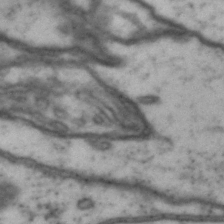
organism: Drosophila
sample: Brain